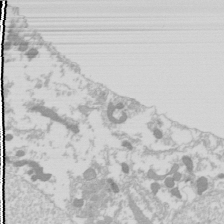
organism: Drosophila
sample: Cell division; meiosis; drosophila spermatocytes